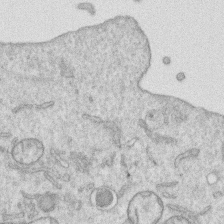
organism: Human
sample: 1205lu cells